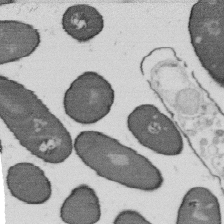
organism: B. subtilis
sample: Bacterial spore